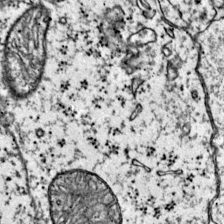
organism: Mouse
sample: Primary visual cortex